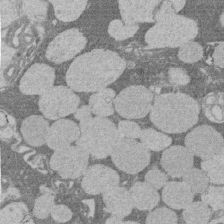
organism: Rat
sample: Salivary granule